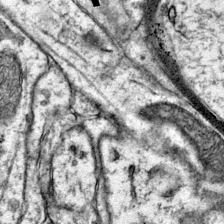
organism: Mouse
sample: Primary visual cortex